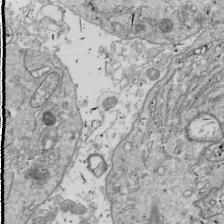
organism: Drosophila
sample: Cell division; meiosis; drosophila spermatocytes